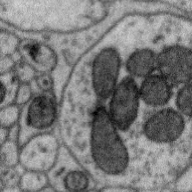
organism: Zebra finch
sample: Brain